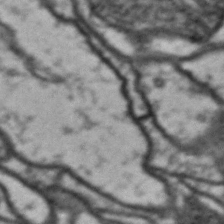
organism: Drosophila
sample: Brain